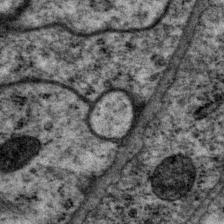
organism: P. pacificus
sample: Pharynx